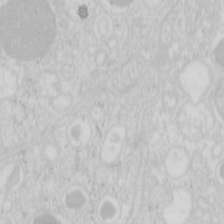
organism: Mouse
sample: Pancreas